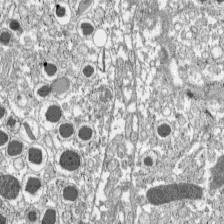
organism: C57BL Mouse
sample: Pancreatic islet